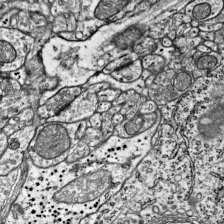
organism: Mouse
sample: Visual Cortex